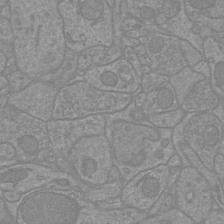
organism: Mouse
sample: Cortical neurons